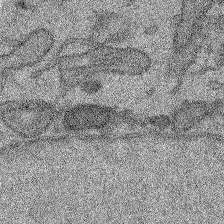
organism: Human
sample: HeLa cells